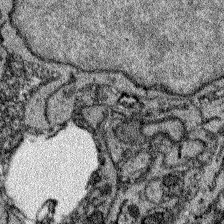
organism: Zebrafish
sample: Larval olfactory bulb